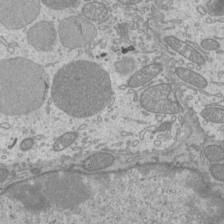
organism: Mouse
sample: Cilia; mouse epididymis